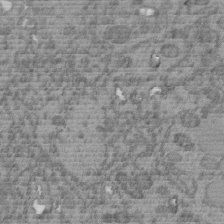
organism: C. elegans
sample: C. elegans embryo early stage